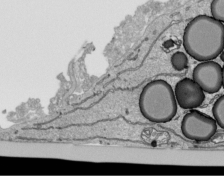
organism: Human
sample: Mitochondria in HCT116 cells